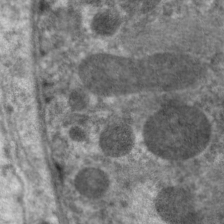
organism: C. elegans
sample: Pharynx